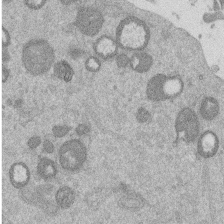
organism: Mouse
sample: Dividing mouse embryo 1 cell stage